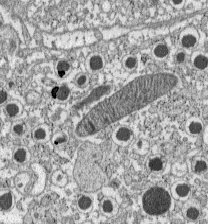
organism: C57BL Mouse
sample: Pancreatic islet